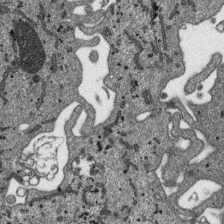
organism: Human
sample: Lung epithelial cells infected with SARS-CoV-2